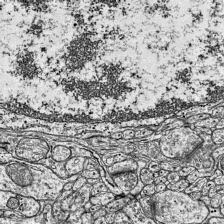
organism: Mouse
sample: Visual Cortex